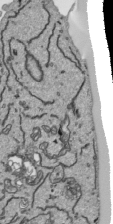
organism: Human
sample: Mitochondria in HCT116 cells